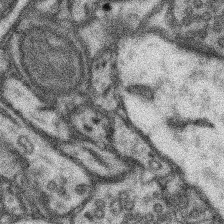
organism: Mouse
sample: Somatosensory cortex neuropil